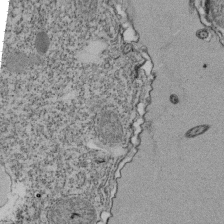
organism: Tetrahymena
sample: Cilia in tetrahymena